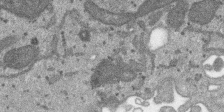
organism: Human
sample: Lung epithelial cells infected with SARS-CoV-2